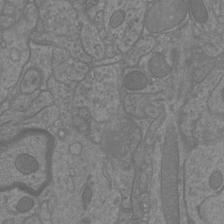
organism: Mouse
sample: Cortical neurons